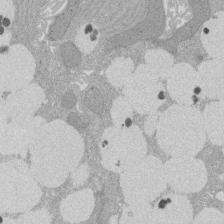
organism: Rat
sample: Salivary granule